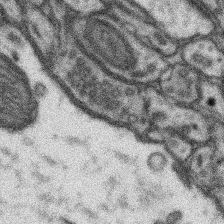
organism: Mouse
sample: Somatosensory cortex neuropil